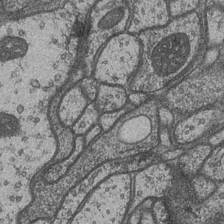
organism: Drosophila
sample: Optic medulla